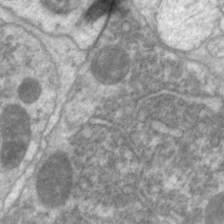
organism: C. elegans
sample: Pharynx